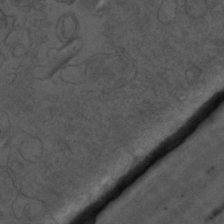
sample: Trachea